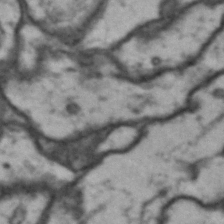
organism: Drosophila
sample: Brain